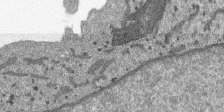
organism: Human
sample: Lung epithelial cells infected with SARS-CoV-2